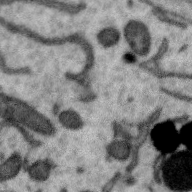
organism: Zebra finch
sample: Brain